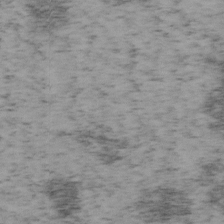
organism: Mouse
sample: OT-I killer T cells with ID8 ovarian cancer cells